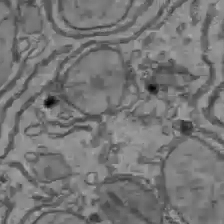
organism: C57BL Mouse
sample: Liver